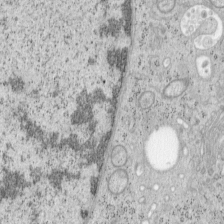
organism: Mouse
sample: OT-I killer T cells with ID8 ovarian cancer cells